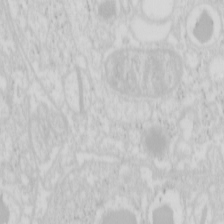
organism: Mouse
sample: Pancreas